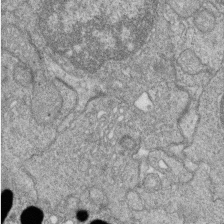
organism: Zebrafish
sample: Cilia; retinal pigment epithelium